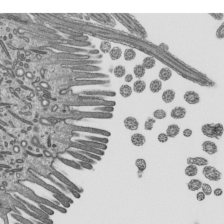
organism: Mouse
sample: Mouse epididymis efferent ductule cilia